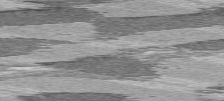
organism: C57BL Mouse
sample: Heart